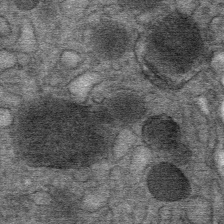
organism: Mouse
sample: Mouse Salivary gland